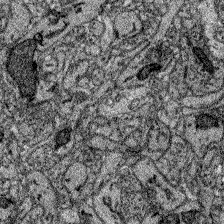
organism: Zebrafish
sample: Larval olfactory bulb